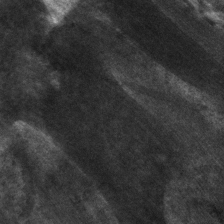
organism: C. elegans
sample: Pharynx